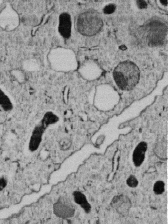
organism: C. elegans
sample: C. elegans embryo early stage